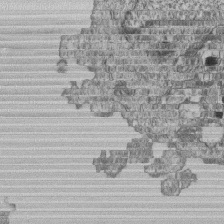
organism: Human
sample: MDA-MB-231 cells